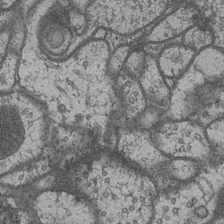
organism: Drosophila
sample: Optic medulla